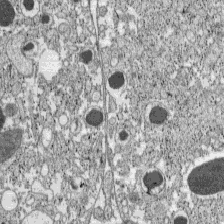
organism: C57BL Mouse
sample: Pancreatic islet